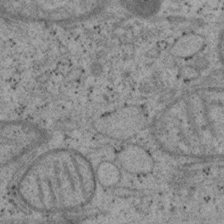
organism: Human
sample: HeLa cells